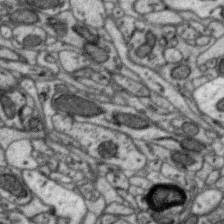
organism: Zebra finch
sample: Brain